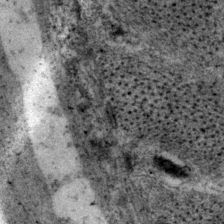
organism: P. pacificus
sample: Pharynx